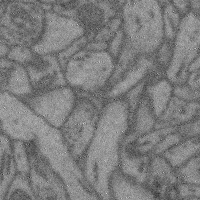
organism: Mouse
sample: Cerebral cortex